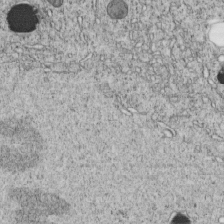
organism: C. elegans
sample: C. elegans embryo early stage